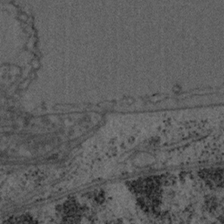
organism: Human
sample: HeLa cells